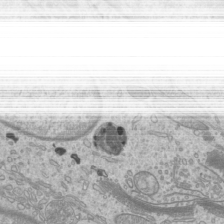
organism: Mouse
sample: Cilia; mouse epididymis